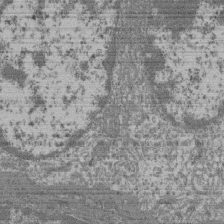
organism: Mouse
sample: Glomerulus